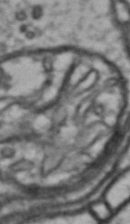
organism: Drosophila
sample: Brain